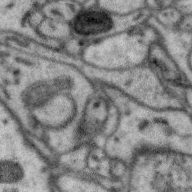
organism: Zebra finch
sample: Brain